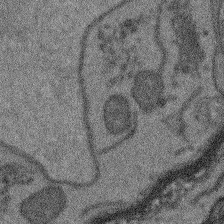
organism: Arabidopsis thaliana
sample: Root tip